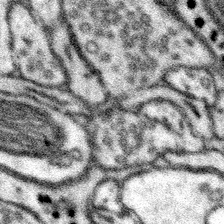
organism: Mouse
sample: Somatosensory cortex neuropil